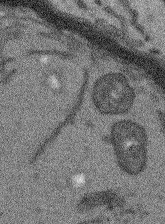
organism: Arabidopsis thaliana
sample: Root tip